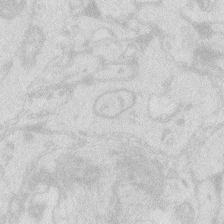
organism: Zebrafish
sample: Macrophage